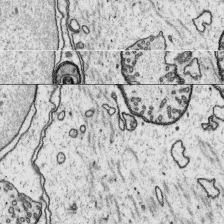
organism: Platynereis dumerilii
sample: Parapodia